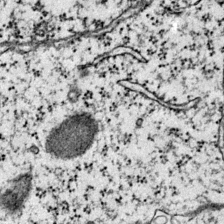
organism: Mouse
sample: Primary visual cortex